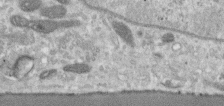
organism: Human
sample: Centriole in RPE cells